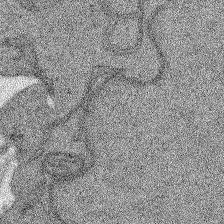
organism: Human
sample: HeLa cells